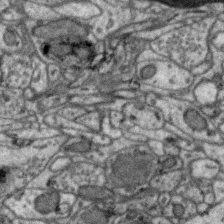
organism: Zebra finch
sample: Brain